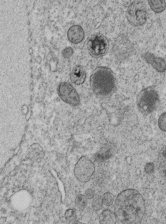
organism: C. elegans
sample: C. elegans embryo early stage